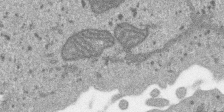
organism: Human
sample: Lung epithelial cells infected with SARS-CoV-2